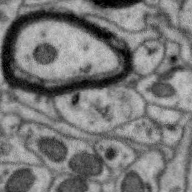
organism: Zebra finch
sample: Brain